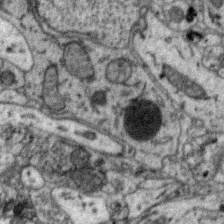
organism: Zebra finch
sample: Brain